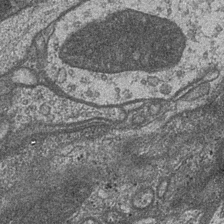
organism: Drosophila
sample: Optic medulla